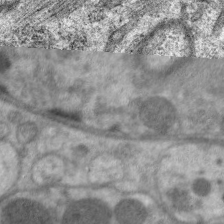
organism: C. elegans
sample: Pharynx